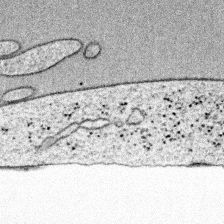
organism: Human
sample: HeLa cells